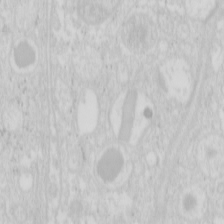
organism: Mouse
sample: Pancreas